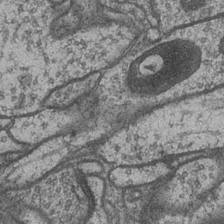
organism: Drosophila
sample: Optic medulla